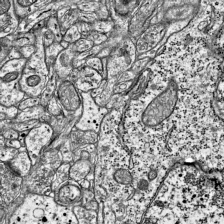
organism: Mouse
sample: Visual Cortex